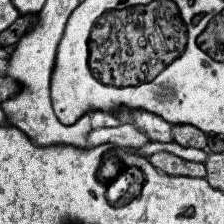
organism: Human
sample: Temporal Lobe